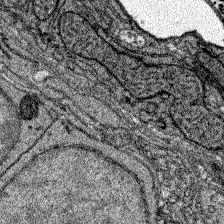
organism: Zebrafish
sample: Larval olfactory bulb